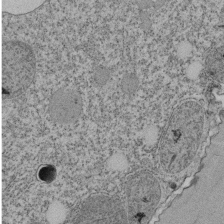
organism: Tetrahymena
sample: Cilia in tetrahymena